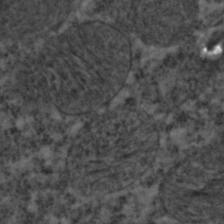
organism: C. elegans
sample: C. elegans embryo